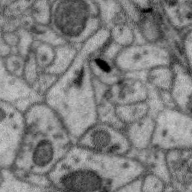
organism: Zebra finch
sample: Brain